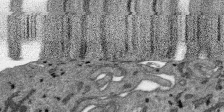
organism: Human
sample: Lung epithelial cells, uninfected (mock) control